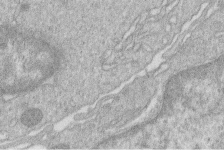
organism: Human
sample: Macrophage cells